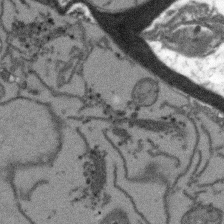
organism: Arabidopsis thaliana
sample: Root tip